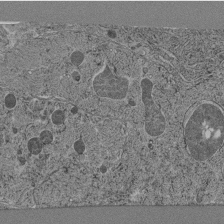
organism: C. elegans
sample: C. elegans pharynx